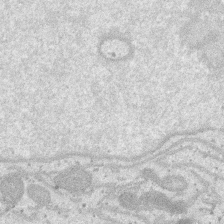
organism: Human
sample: Lung epithelial cells infected with SARS-CoV-2